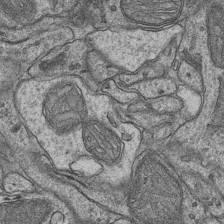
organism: Mouse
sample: CA1 Hippocampus